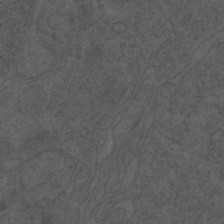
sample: Trachea